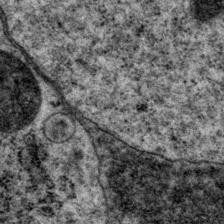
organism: P. pacificus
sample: Pharynx